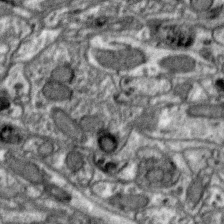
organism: Zebra finch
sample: Brain